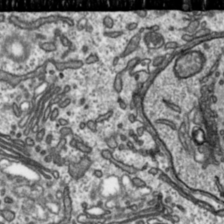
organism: Toxoplasma gondii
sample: Parasites in a vacuole inside a host cell